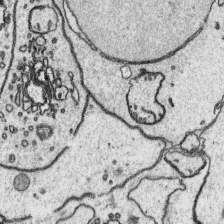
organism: Platynereis dumerilii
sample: Parapodia